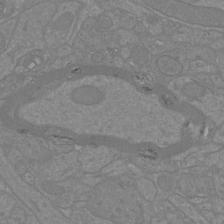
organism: Mouse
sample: Cortical neurons